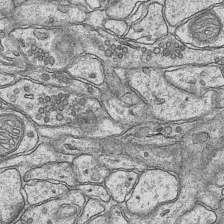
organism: Mouse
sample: CA1 Hippocampus